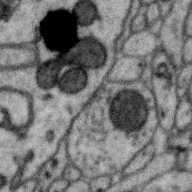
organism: Zebra finch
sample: Brain